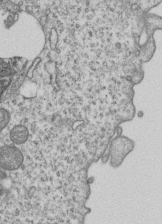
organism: Human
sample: MDA-MB-231 cells